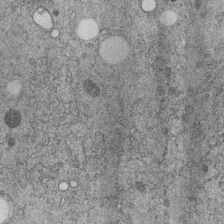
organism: C. elegans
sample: C. elegans embryo early stage